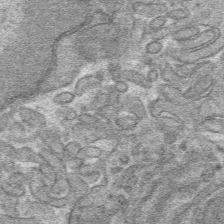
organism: Mouse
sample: Mouse hepatocytes